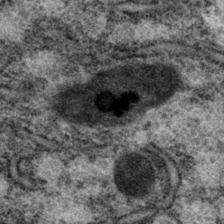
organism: P. pacificus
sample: Pharynx